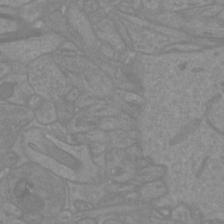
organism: Mouse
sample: Cortical neurons